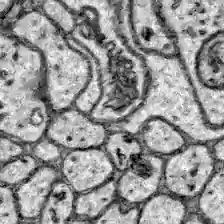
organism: Zebrafish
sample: Brain